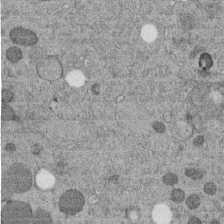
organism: C. elegans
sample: C. elegans embryo early stage